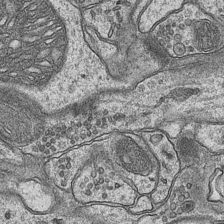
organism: Mouse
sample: CA1 Hippocampus